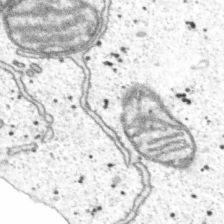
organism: Human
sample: HeLa cells